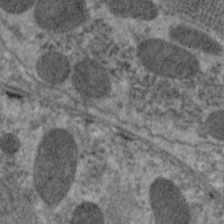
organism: C. elegans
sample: Pharynx